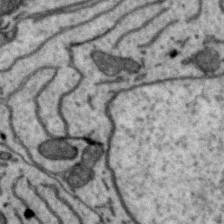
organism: Zebra finch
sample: Brain